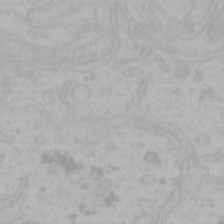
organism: Mouse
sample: Choroid plexus